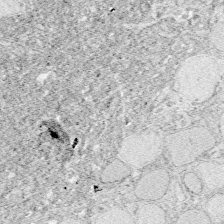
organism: Zebrafish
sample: Whole-Brain